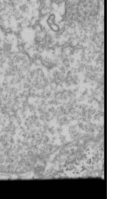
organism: Drosophila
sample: Cell division; meiosis; drosophila spermatocytes